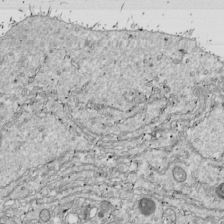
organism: Drosophila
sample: Cell division; meiosis; drosophila spermatocytes